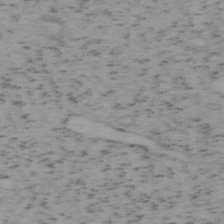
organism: Mouse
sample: OT-I killer T cells with ID8 ovarian cancer cells